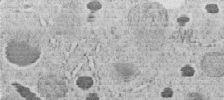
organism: C. elegans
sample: C. elegans embryo early stage